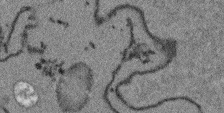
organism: Arabidopsis thaliana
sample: Root tip